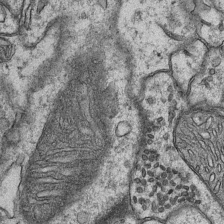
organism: Mouse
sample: CA1 Hippocampus